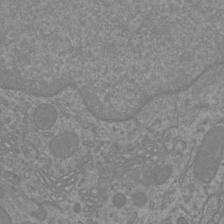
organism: Mouse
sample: Cortical neurons